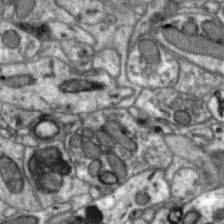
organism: Zebra finch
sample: Brain